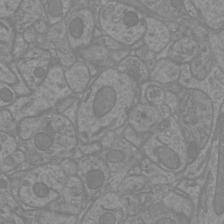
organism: Mouse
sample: Cortical neurons